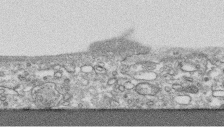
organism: Human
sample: CRL-1474